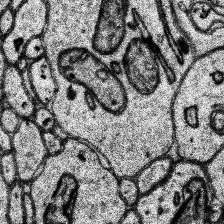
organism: Human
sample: Temporal Lobe